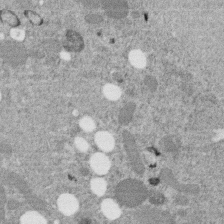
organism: C. elegans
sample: C. elegans embryo early stage